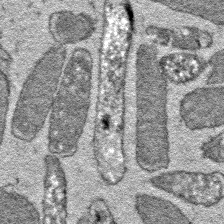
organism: E. coli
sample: E. Coli Bacteria